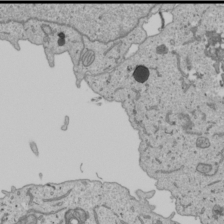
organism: Human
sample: Mitochondria in U2OS cells